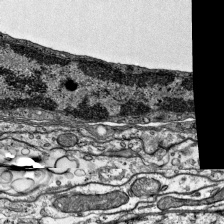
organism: Mouse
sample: Visual Cortex